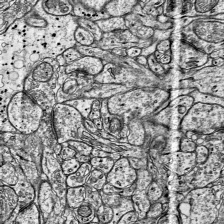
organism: Mouse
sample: Visual Cortex